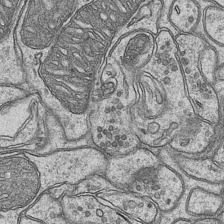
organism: Mouse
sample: CA1 Hippocampus